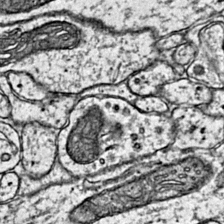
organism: Mouse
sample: Primary visual cortex